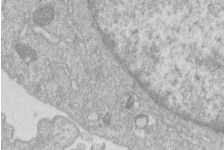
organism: Human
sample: Macrophage cells